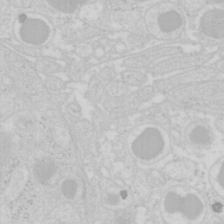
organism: Mouse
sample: Pancreas